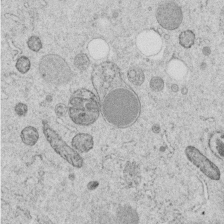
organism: C. elegans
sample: C. elegans embryo early stage